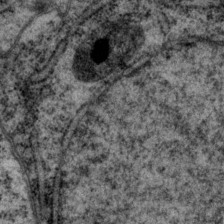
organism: P. pacificus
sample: Pharynx